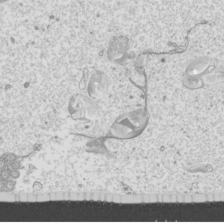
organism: Mouse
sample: Cilia; mouse epididymis